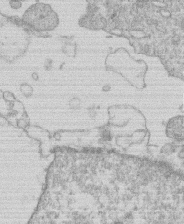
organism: Human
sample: Macrophage cells